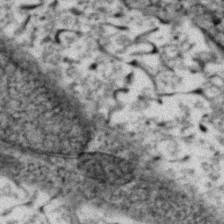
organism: Zebrafish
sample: Zebrafish embryo